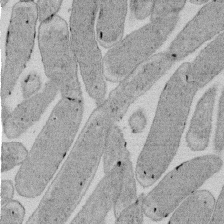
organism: E. coli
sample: Bacterial nucleoid